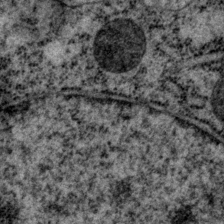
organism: P. pacificus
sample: Pharynx